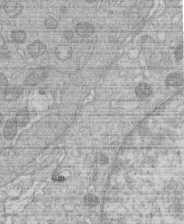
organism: Human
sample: Macrophage cells